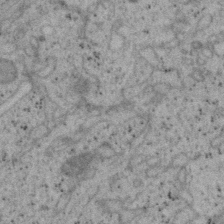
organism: Human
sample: HeLa cells